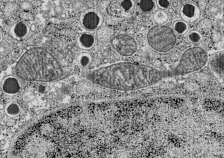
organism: C57BL Mouse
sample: Pancreatic islet